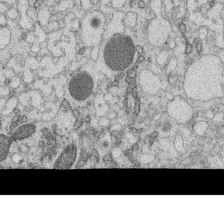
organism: C. elegans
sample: C. elegans oocyte; sperm cells